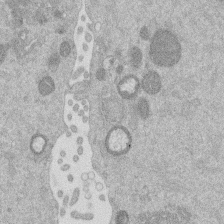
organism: Mouse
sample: Dividing mouse embryo 1 cell stage